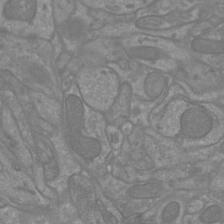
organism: Mouse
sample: Cortical neurons